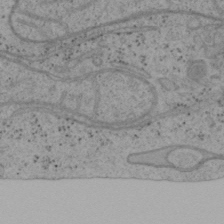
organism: Human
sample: HeLa cells